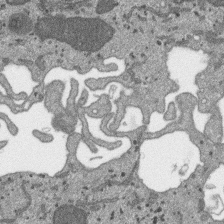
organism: Human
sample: Lung epithelial cells infected with SARS-CoV-2